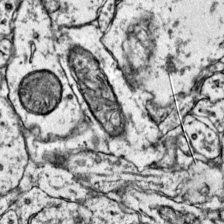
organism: Mouse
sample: Primary visual cortex